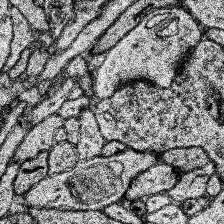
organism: Human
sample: Temporal Lobe